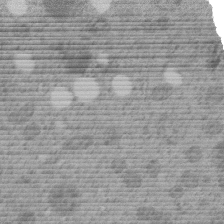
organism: C. elegans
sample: C. elegans embryo early stage